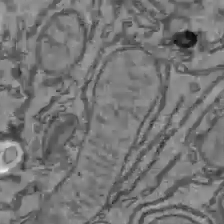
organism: C57BL Mouse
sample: Liver